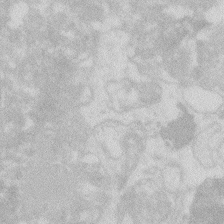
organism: Zebrafish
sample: Macrophage